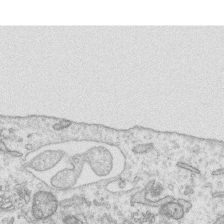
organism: Human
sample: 1205lu cells